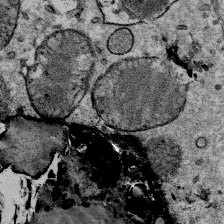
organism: Mouse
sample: Mouse Salivary gland